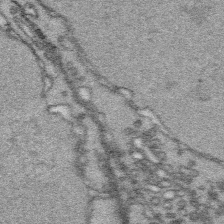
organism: Platynereis dumerilii